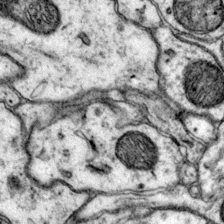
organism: Mouse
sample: Primary visual cortex